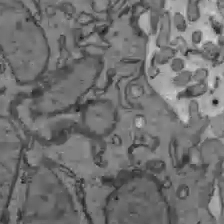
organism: C57BL Mouse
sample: Liver